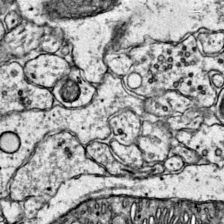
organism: Mouse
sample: Primary visual cortex